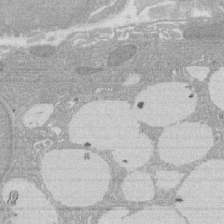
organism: Rat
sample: Salivary granule